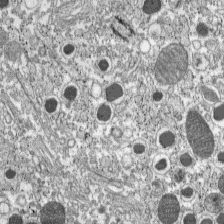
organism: C57BL Mouse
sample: Pancreatic islet